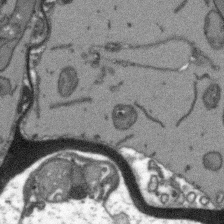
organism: Arabidopsis thaliana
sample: Root tip